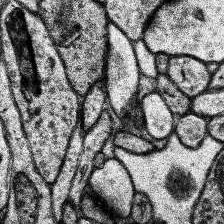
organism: Human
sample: Temporal Lobe